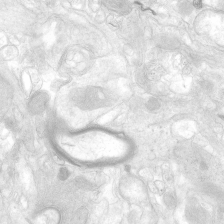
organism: Human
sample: Neocortex